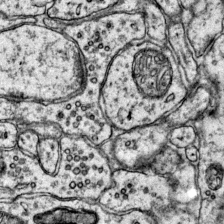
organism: Mouse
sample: Primary visual cortex